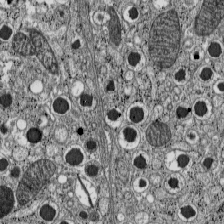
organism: C57BL Mouse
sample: Pancreatic islet